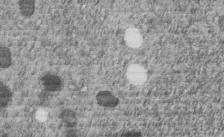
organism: C. elegans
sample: C. elegans embryo early stage